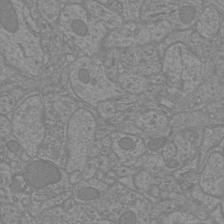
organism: Mouse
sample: Cortical neurons